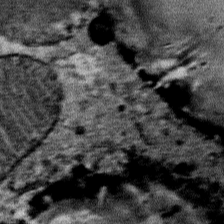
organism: Mouse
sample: Mouse Salivary gland